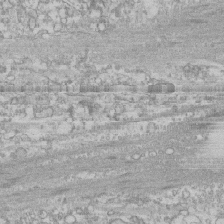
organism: Human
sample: CRL-1474